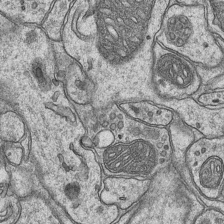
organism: Mouse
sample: CA1 Hippocampus